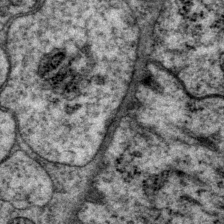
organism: P. pacificus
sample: Pharynx